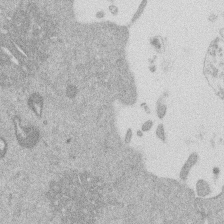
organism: Mouse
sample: Dividing mouse embryo 1 cell stage